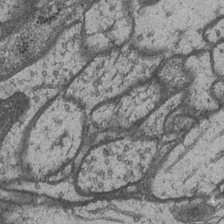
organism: Drosophila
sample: Optic medulla